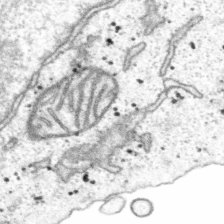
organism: Human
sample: HeLa cells